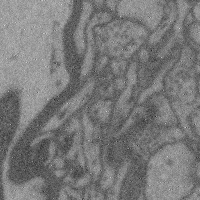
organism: Mouse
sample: Cerebral cortex